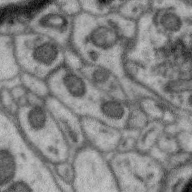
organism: Zebra finch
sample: Brain